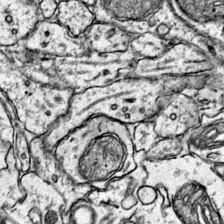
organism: Mouse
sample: Primary visual cortex